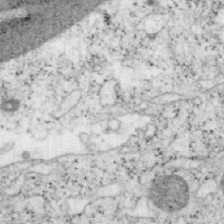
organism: Mouse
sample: OT-I killer T cells with ID8 ovarian cancer cells